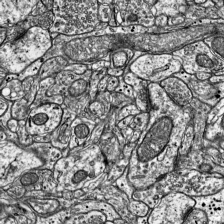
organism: Mouse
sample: Visual Cortex